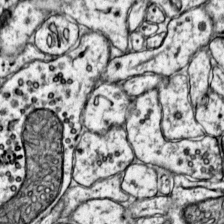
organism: Mouse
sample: Primary visual cortex